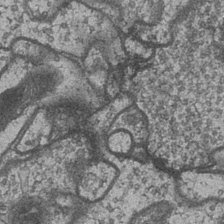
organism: Drosophila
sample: Optic medulla